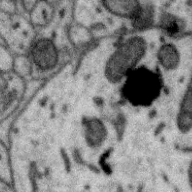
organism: Zebra finch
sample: Brain